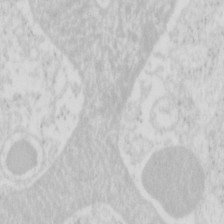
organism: Mouse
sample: Pancreas